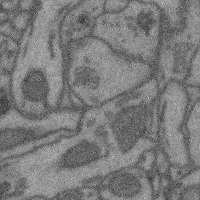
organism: Mouse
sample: Cerebral cortex